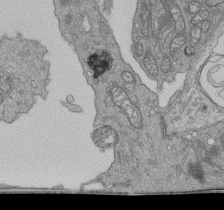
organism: Human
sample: Retinal organoid Rod and Cone cells